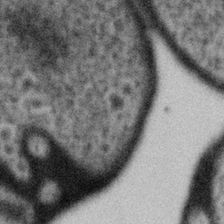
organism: Gemmata obscuriglobus